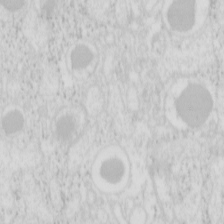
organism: Mouse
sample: Pancreas